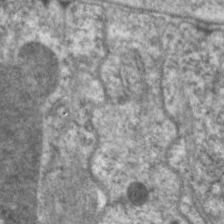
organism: C. elegans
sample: Pharynx